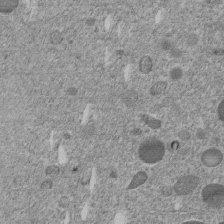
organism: C. elegans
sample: C. elegans embryo early stage